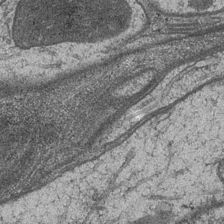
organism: Drosophila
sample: Optic medulla